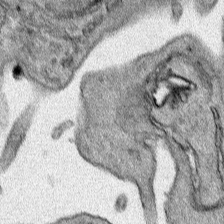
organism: Human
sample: Mitochondria in HCT116 cells